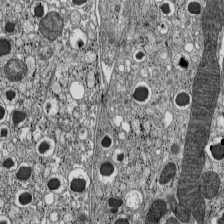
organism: C57BL Mouse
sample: Pancreatic islet